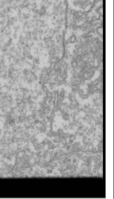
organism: Drosophila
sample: Cell division; meiosis; drosophila spermatocytes